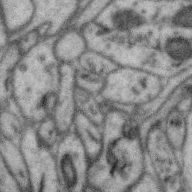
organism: Zebra finch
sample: Brain